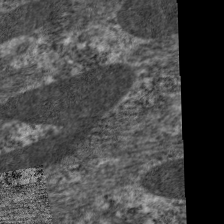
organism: C. elegans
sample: Pharynx